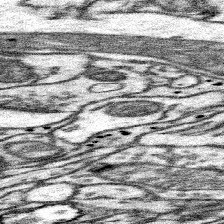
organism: Mouse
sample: Somatosensory cortex neuropil